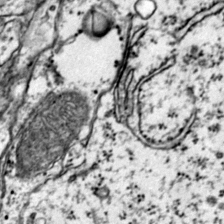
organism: Mouse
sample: Primary visual cortex